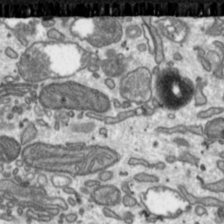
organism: Toxoplasma gondii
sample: Parasites in a vacuole inside a host cell